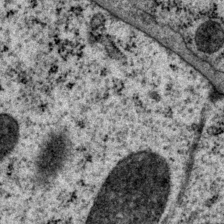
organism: P. pacificus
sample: Pharynx